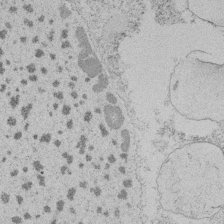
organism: Tetrahymena